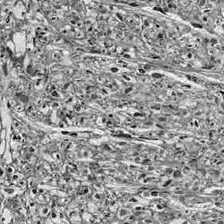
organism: Drosophila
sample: Optic lobe